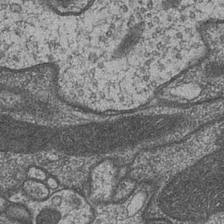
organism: Drosophila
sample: Optic medulla